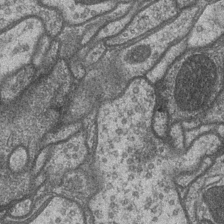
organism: Drosophila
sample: Optic medulla